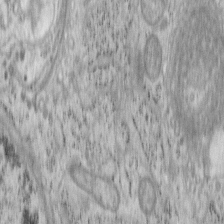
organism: Human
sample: HeLa cells